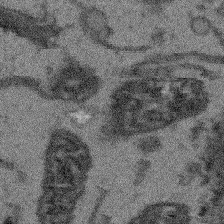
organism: Arabidopsis thaliana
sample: Root tip